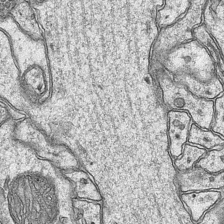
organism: Mouse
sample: CA1 Hippocampus